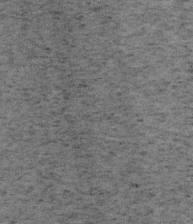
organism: Mouse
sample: OT-I killer T cells with ID8 ovarian cancer cells